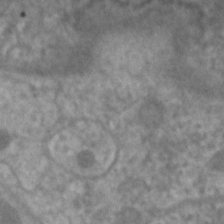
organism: C. elegans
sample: Pharynx